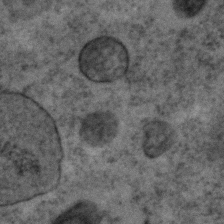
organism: C. elegans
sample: C. elegans embryo